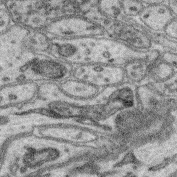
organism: Mouse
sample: Retina